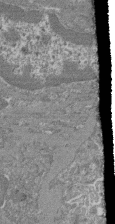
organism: Mouse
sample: Glomerulus